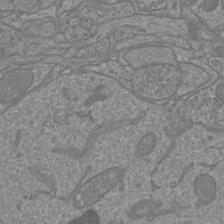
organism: Mouse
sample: Cortical neurons